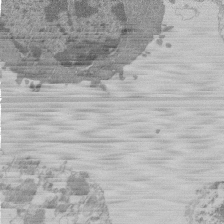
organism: Mouse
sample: Activated Pmel transgenic CD8+ T Cells